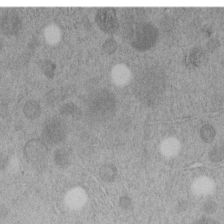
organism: C. elegans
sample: C. elegans embryo early stage